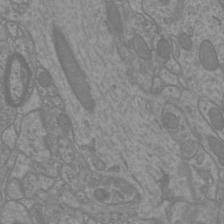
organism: Mouse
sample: Cortical neurons